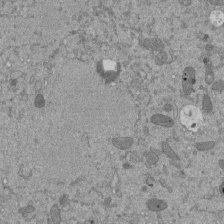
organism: Mouse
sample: ED-1 cell nuclei; centrioles